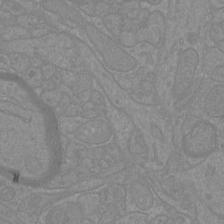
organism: Mouse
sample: Cortical neurons